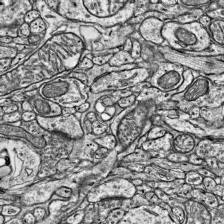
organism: Mouse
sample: Visual Cortex